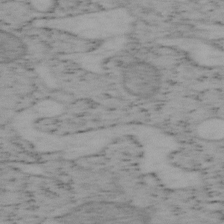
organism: Mouse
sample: OT-I killer T cells with ID8 ovarian cancer cells